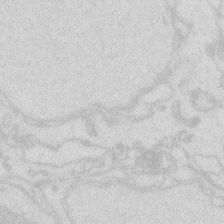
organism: Zebrafish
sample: Macrophage